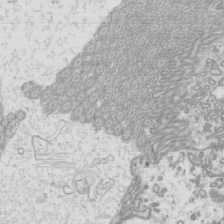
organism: Mouse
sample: Cilia; mouse epididymis